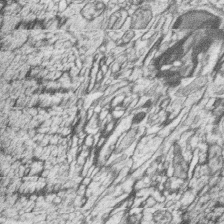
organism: Zebrafish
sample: synaptic ribbons in rod cells and cone cells